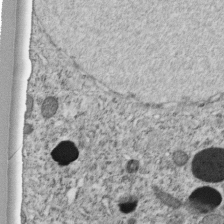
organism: C. elegans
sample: C. elegans embryo early stage